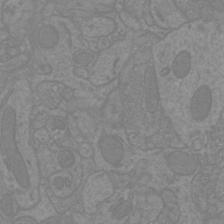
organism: Mouse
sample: Cortical neurons